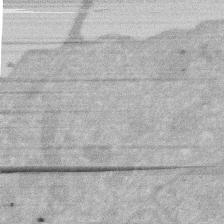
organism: Human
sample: HIV infected U937 cells